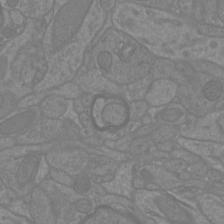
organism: Mouse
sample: Cortical neurons